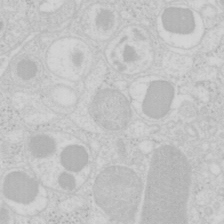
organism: Mouse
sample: Pancreas